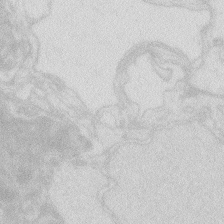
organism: Zebrafish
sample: Macrophage